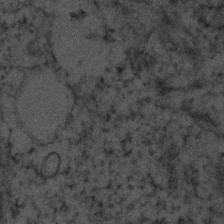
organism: Human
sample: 1205lu cells